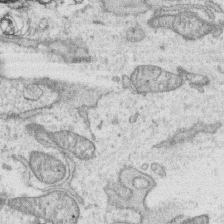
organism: Human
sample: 1205lu cells